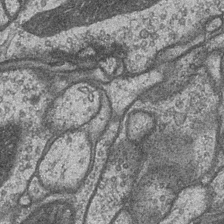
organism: Drosophila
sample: Optic medulla